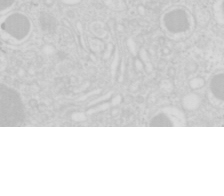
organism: Mouse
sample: Pancreas